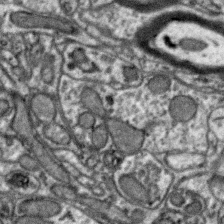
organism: Zebra finch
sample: Brain